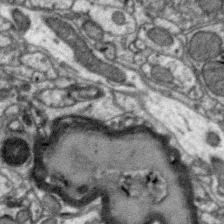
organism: Zebra finch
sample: Brain